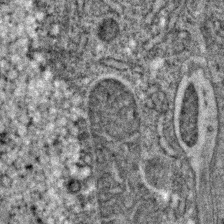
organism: C. elegans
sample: C. elegans embryo